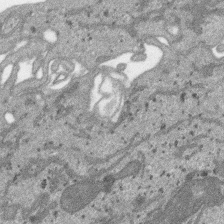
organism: Human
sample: Lung epithelial cells infected with SARS-CoV-2